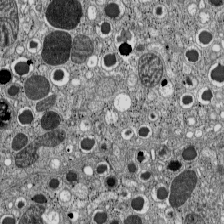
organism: C57BL Mouse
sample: Pancreatic islet